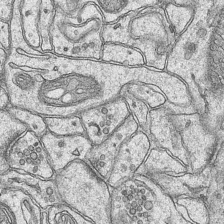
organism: Mouse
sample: CA1 Hippocampus